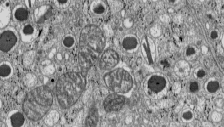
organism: C57BL Mouse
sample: Pancreatic islet